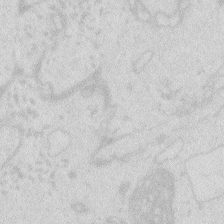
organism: Zebrafish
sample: Macrophage